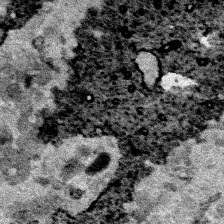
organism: Human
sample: Mitochondria in HCT116 cells